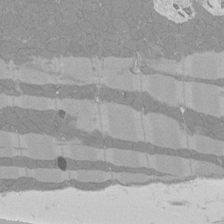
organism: Rat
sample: Left ventricle